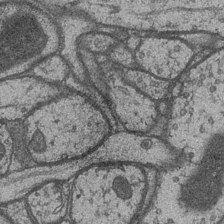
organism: Drosophila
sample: Optic medulla